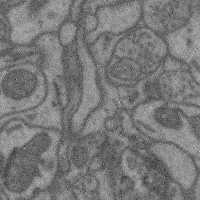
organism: Mouse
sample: Cerebral cortex